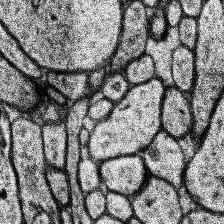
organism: Human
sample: Temporal Lobe